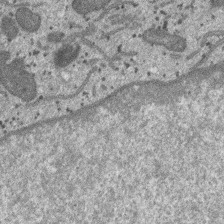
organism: Human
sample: Lung epithelial cells infected with SARS-CoV-2